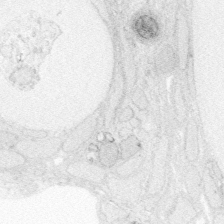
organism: Zebrafish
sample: Whole-Brain